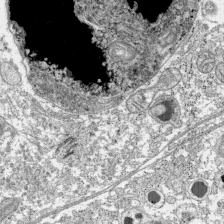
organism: C57BL Mouse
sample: Pancreatic islet